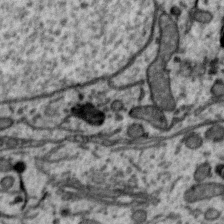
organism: Zebra finch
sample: Brain